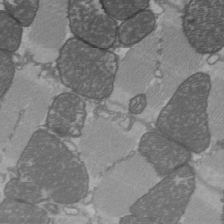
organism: C57BL Mouse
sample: Heart